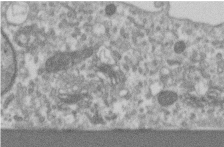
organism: Human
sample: Centriole in RPE cells